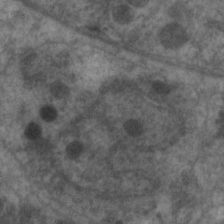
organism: C. elegans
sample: Pharynx